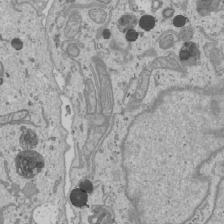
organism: Human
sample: Mitochondria in U2OS cells